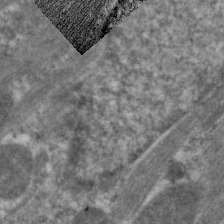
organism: C. elegans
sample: Pharynx